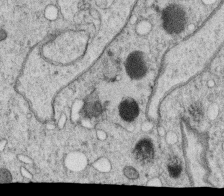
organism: C. elegans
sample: C. elegans oocyte; sperm cells